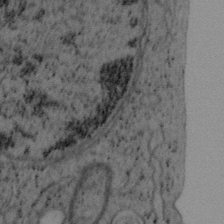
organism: Human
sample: HeLa cells